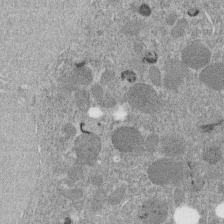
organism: C. elegans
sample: C. elegans embryo early stage